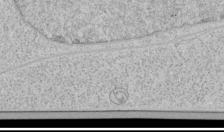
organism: Human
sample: Mitochondria in HCT116 cells